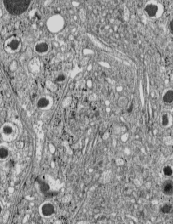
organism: C57BL Mouse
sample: Pancreatic islet